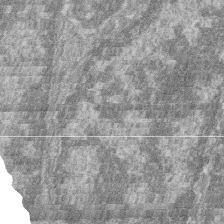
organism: Zebrafish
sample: Cilia; retinal pigment epithelium